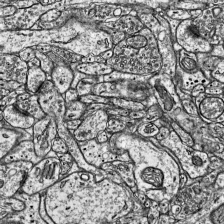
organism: Mouse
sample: Visual Cortex